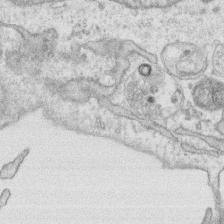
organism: Human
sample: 1205lu cells